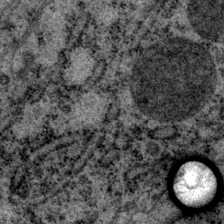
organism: P. pacificus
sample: Pharynx